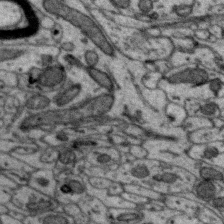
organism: Zebra finch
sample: Brain